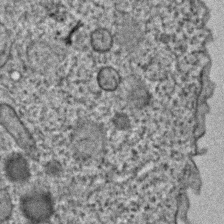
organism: C. elegans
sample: C. elegans embryo